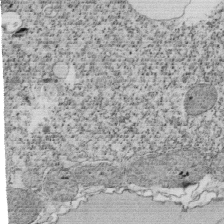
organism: Tetrahymena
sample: Cilia in tetrahymena